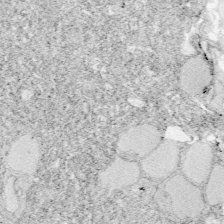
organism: Zebrafish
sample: Whole-Brain